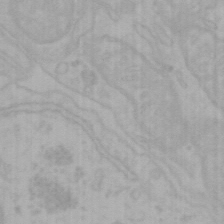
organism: Mouse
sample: Choroid plexus